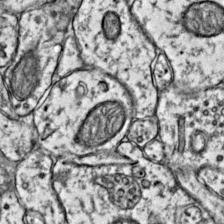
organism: Mouse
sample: Primary visual cortex